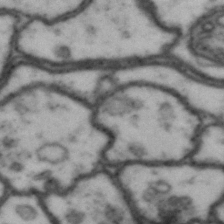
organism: Drosophila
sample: Brain